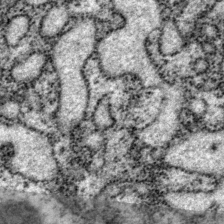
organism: P. pacificus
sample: Pharynx